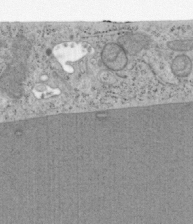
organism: Human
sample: HeLa cells